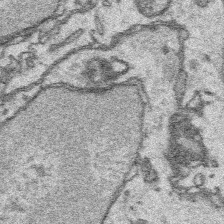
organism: Platynereis dumerilii